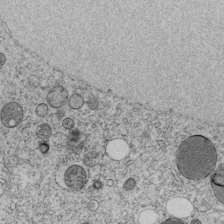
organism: C. elegans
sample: C. elegans embryo early stage